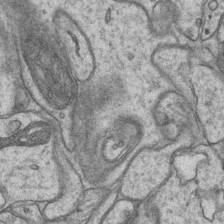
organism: Mouse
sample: CA1 Hippocampus